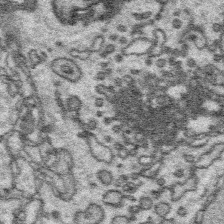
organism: Platynereis dumerilii